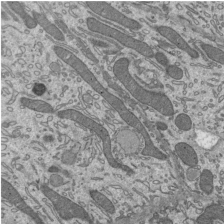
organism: Mouse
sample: Mouse epididymis efferent ductule cilia